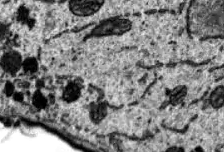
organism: Human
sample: HeLa cells